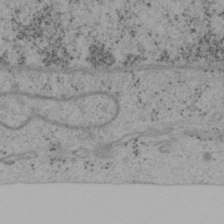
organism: Human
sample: HeLa cells